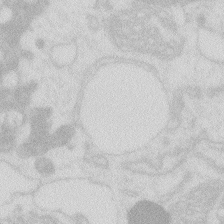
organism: Zebrafish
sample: Macrophage